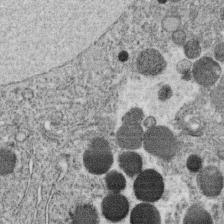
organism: C. elegans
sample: C. elegans oocyte; sperm cells